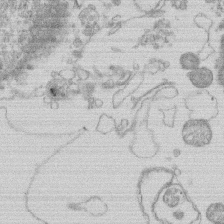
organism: Human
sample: Macrophage cells